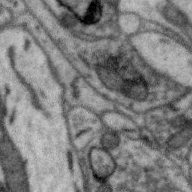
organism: Zebra finch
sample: Brain